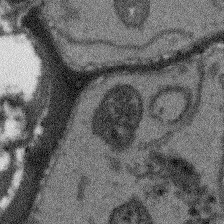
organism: Arabidopsis thaliana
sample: Root tip